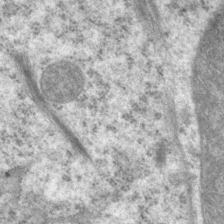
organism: P. pacificus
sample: Pharynx